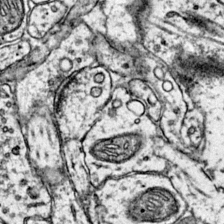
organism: Mouse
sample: Primary visual cortex